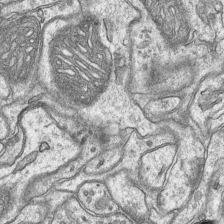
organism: Mouse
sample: CA1 Hippocampus